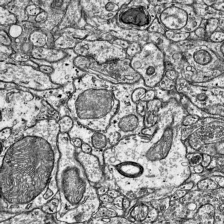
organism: Mouse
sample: Visual Cortex